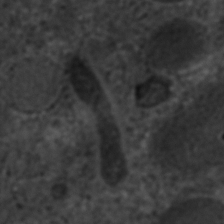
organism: C. elegans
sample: C. elegans embryo